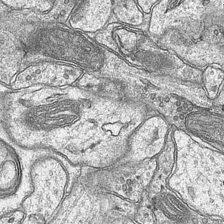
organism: Mouse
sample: CA1 Hippocampus